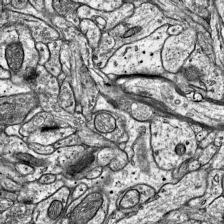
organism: Mouse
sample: Visual Cortex